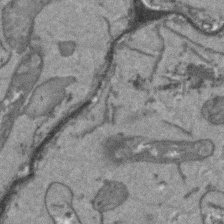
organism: Arabidopsis thaliana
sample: Root tip